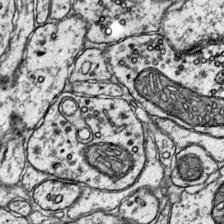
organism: Mouse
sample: Primary visual cortex